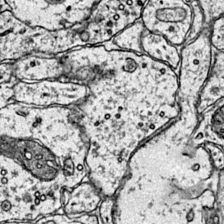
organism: Mouse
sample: Primary visual cortex